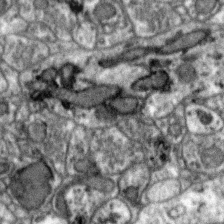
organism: Zebra finch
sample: Brain